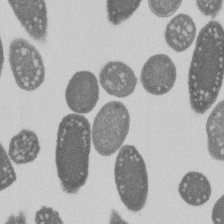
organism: E. coli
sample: Bacterial nucleoid